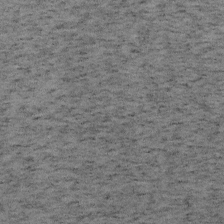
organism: Mouse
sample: OT-I killer T cells with ID8 ovarian cancer cells